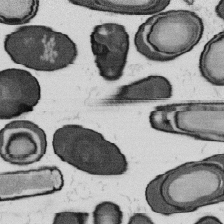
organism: B. subtilis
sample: Bacterial spore